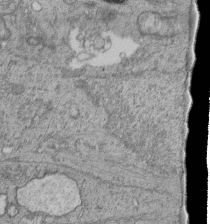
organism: Human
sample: Retinal organoid Rod and Cone cells